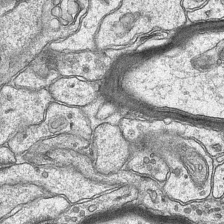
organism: Mouse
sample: CA1 Hippocampus